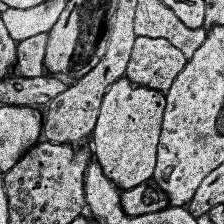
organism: Human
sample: Temporal Lobe